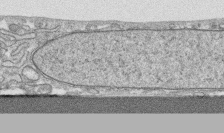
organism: Human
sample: CRL-1474